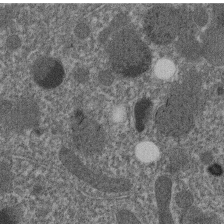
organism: C. elegans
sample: C. elegans embryo early stage